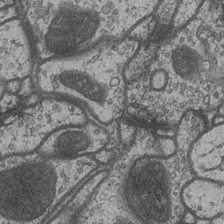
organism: Drosophila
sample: Optic medulla